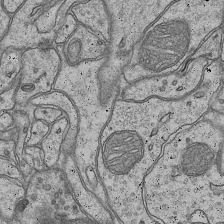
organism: Mouse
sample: CA1 Hippocampus